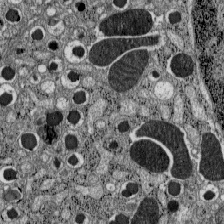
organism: C57BL Mouse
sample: Pancreatic islet